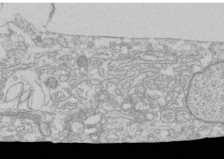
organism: Human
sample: CRL-1474